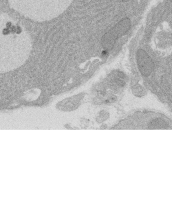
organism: Rat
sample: Salivary granule